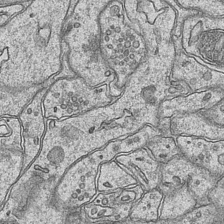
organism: Mouse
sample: CA1 Hippocampus